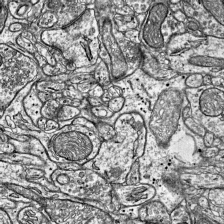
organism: Mouse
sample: Visual Cortex